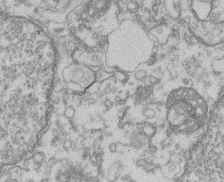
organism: Mouse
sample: T cell stromal cell synapse